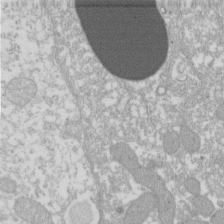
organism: Xenopus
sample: Cilia; centrioles in frog embryo cells